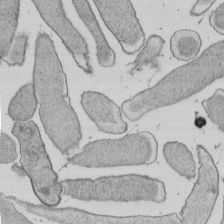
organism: E. coli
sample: Bacterial nucleoid